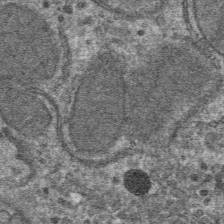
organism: Mouse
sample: Mouse hepatocytes